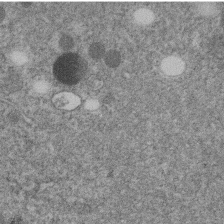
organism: C. elegans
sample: C. elegans embryo early stage